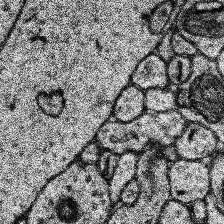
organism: Human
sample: Temporal Lobe